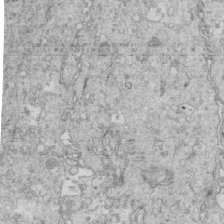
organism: Mouse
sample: Multiciliated cells